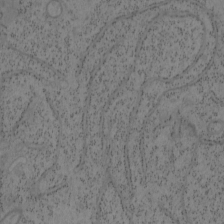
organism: Mouse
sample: OT-I killer T cells with ID8 ovarian cancer cells